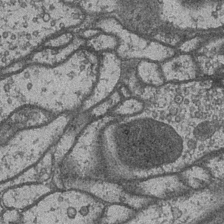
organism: Drosophila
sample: Optic medulla